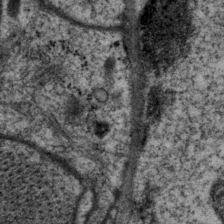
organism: P. pacificus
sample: Pharynx